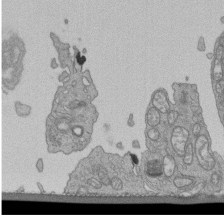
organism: Human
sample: Retinal organoid Rod and Cone cells